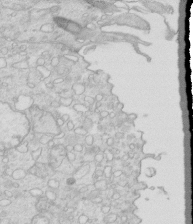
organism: Mouse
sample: Multiciliated cells